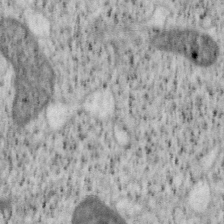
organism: Mouse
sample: OT-I killer T cells with ID8 ovarian cancer cells